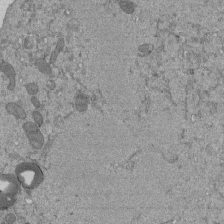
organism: Mouse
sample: ED-1 cell nuclei; centrioles